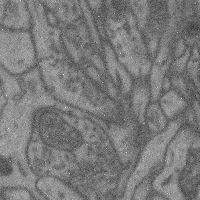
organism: Mouse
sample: Cerebral cortex